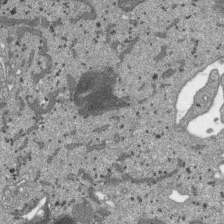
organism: Human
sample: Lung epithelial cells infected with SARS-CoV-2